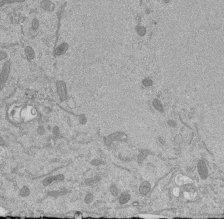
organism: Mouse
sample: ED-1 cell nuclei; centrioles